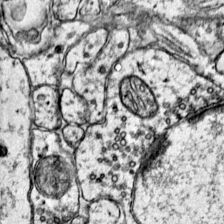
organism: Mouse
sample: Primary visual cortex